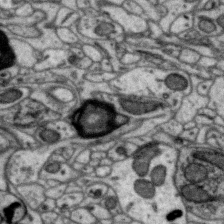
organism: Zebra finch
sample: Brain